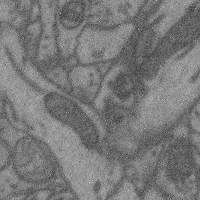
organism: Mouse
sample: Cerebral cortex